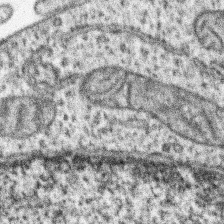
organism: Human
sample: HeLa cells